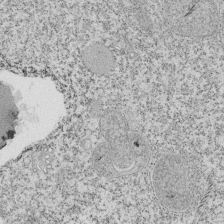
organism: Tetrahymena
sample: Cilia in tetrahymena